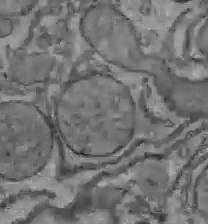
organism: C57BL Mouse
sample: Liver